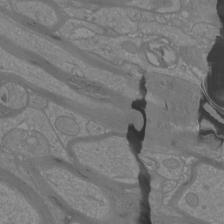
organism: Mouse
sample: Cortical neurons